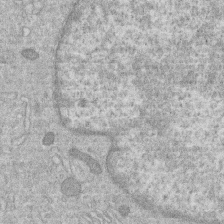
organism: Human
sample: Macrophage cells